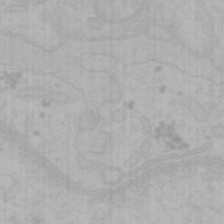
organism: Mouse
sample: Choroid plexus